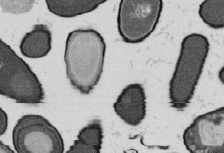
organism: B. subtilis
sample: Bacterial spore